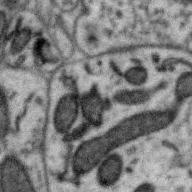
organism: Zebra finch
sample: Brain